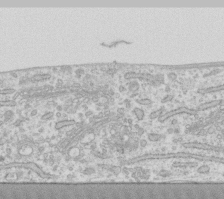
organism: Human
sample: Fibroblast cells